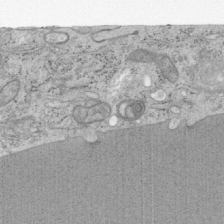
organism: Human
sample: HeLa cells